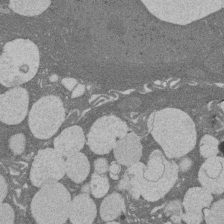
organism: Rat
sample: Salivary granule